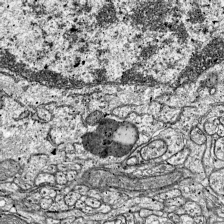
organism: Mouse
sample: Visual Cortex